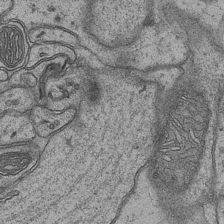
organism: Mouse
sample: CA1 Hippocampus